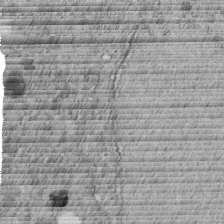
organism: C. elegans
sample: C. elegans embryo early stage